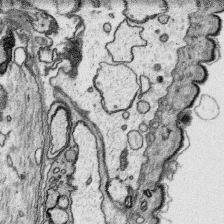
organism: Platynereis dumerilii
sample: Parapodia